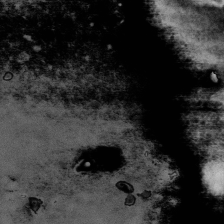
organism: Human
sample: U2-OS cells